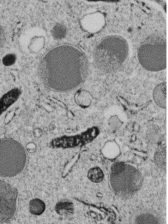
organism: C. elegans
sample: C. elegans embryo early stage